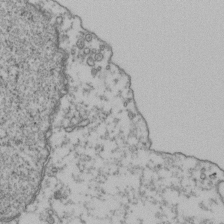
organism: Human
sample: Activated Jurkat CD4+ T cells